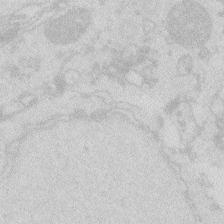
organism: Zebrafish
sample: Macrophage